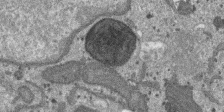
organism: Human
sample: Lung epithelial cells infected with SARS-CoV-2